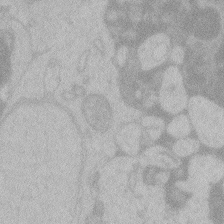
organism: Zebrafish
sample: Macrophage infected with Toxoplasma gondii